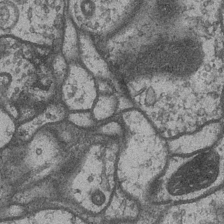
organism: Drosophila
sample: Optic medulla